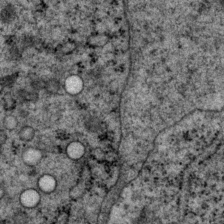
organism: P. pacificus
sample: Pharynx